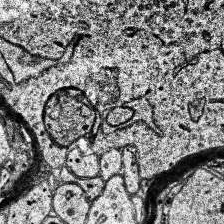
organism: Human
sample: Temporal Lobe